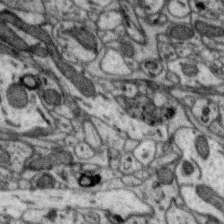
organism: Zebra finch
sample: Brain